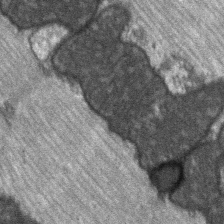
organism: C57BL Mouse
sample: Soleus